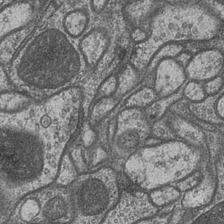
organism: Drosophila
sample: Optic medulla